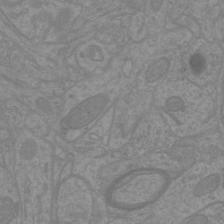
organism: Mouse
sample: Cortical neurons